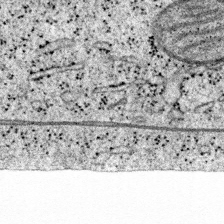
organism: Human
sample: HeLa cells